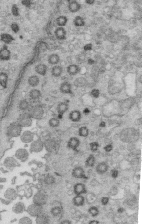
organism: Mouse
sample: Multiciliated cells